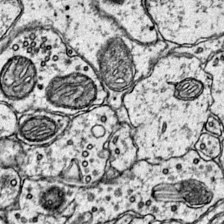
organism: Mouse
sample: Primary visual cortex